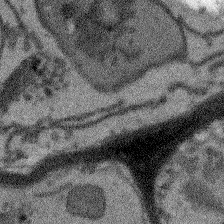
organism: Arabidopsis thaliana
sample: Root tip